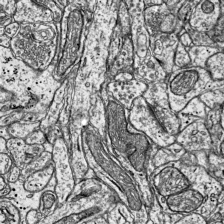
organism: Mouse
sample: Visual Cortex